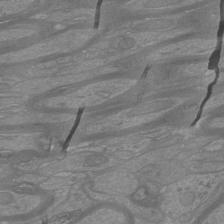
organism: Mouse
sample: Cortical neurons